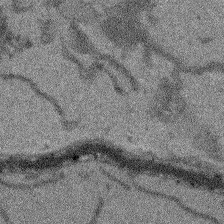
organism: Arabidopsis thaliana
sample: Root tip